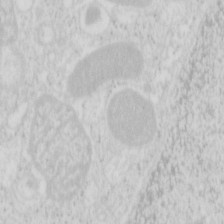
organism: Mouse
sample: Pancreas